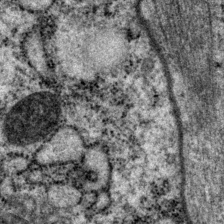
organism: P. pacificus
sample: Pharynx